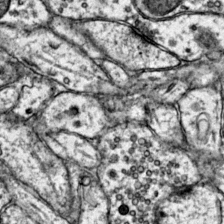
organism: Mouse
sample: Primary visual cortex